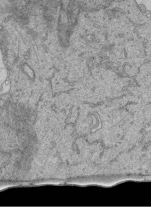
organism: Human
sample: Retinal organoid Rod and Cone cells